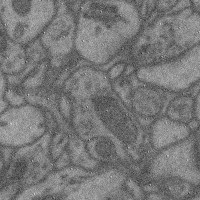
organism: Mouse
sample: Cerebral cortex